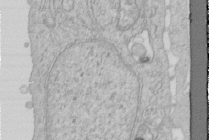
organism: Human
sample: Centriole in RPE cells